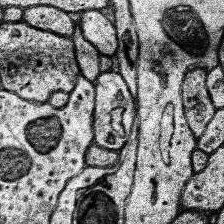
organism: Human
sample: Temporal Lobe